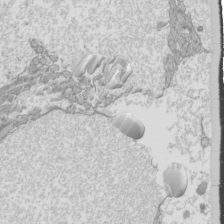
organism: Mouse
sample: Cilia; mouse epididymis